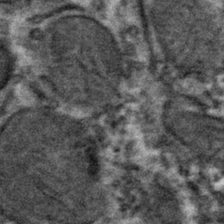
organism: Mouse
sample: Mouse hepatocytes